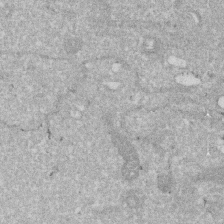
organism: Human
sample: HIV infected U937 cells